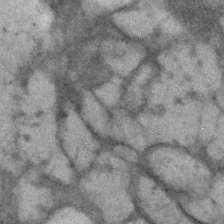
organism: Human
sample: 1205lu cells